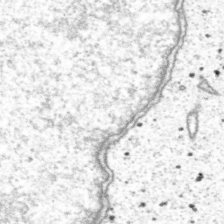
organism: Human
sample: HeLa cells